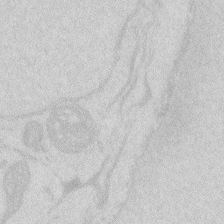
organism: Zebrafish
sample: Macrophage